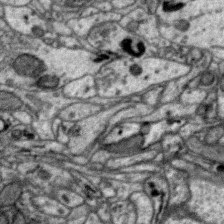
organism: Zebra finch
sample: Brain